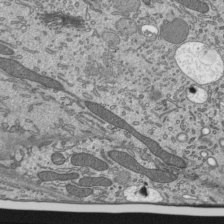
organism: Mouse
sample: Mouse epididymis efferent ductule cilia